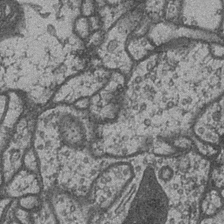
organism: Drosophila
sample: Optic medulla